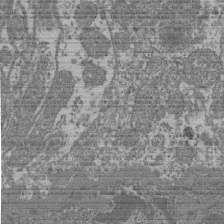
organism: Mouse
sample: Glomerulus